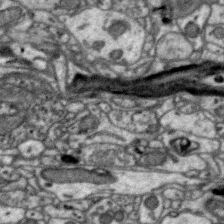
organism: Zebra finch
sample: Brain